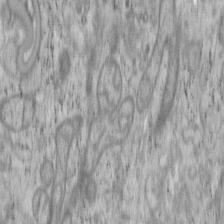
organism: Human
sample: HeLa cells